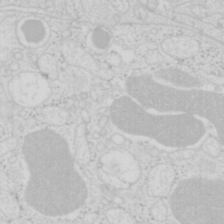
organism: Mouse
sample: Pancreas